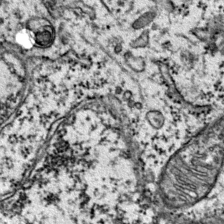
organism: Mouse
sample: Primary visual cortex